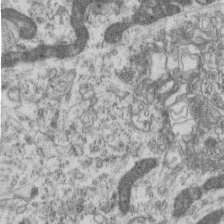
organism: Mouse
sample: Centriole in ependymal cells